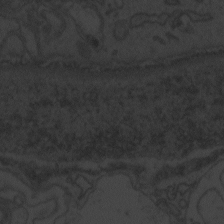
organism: Zebrafish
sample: Macrophage infected with Toxoplasma gondii